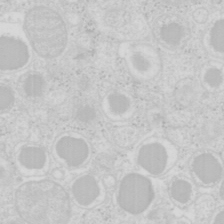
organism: Mouse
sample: Pancreas